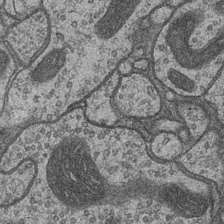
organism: Drosophila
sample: Optic medulla